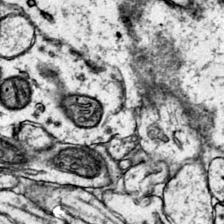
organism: Mouse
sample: Primary visual cortex